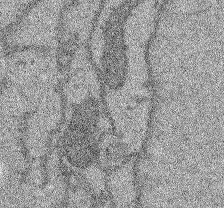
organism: Human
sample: HeLa cells